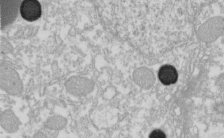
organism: Xenopus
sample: Cilia; centrioles in frog embryo cells